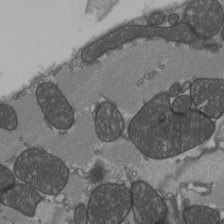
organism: C57BL Mouse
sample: Heart